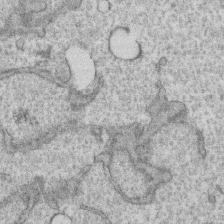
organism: Human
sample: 1205lu cells